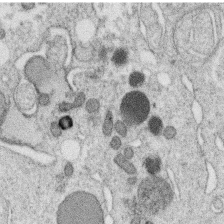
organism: C. elegans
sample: C. elegans oocyte; sperm cells